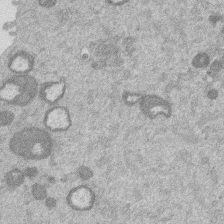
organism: Mouse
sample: Dividing mouse embryo 1 cell stage